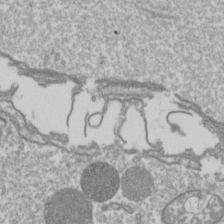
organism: Drosophila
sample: Cell division; meiosis; drosophila spermatocytes